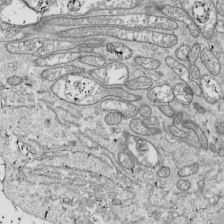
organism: Drosophila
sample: Cell division; meiosis; drosophila spermatocytes